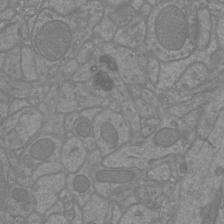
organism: Mouse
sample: Cortical neurons